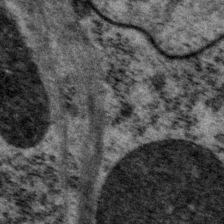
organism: P. pacificus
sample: Pharynx